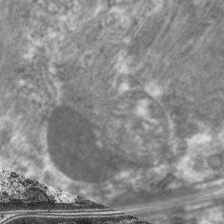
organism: C. elegans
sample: Pharynx